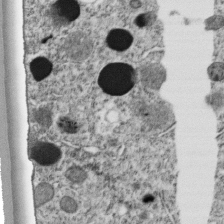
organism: C. elegans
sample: C. elegans embryo early stage